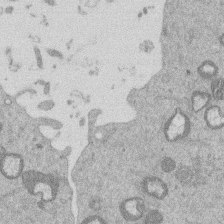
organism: Mouse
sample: Dividing mouse embryo 1 cell stage